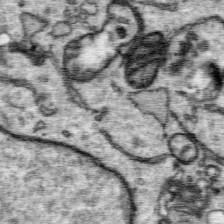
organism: Human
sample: HeLa cells